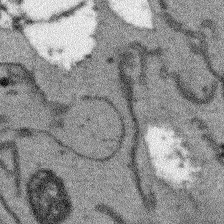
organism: Arabidopsis thaliana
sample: Root tip